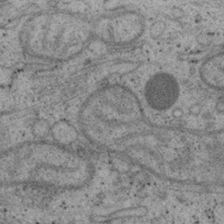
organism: Human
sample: HeLa cells